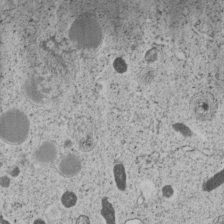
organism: C. elegans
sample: C. elegans embryo early stage